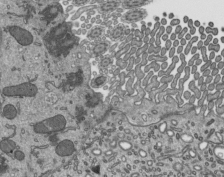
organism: Mouse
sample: Mouse epididymis efferent ductule cilia